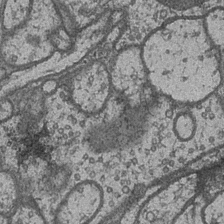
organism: Drosophila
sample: Optic medulla